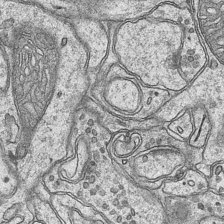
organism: Mouse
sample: CA1 Hippocampus